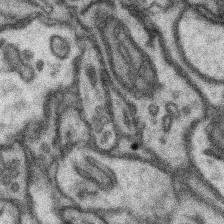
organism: Mouse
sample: Somatosensory cortex neuropil